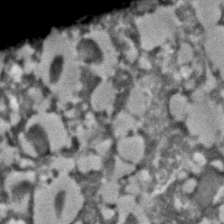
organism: C. elegans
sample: C. elegans embryo